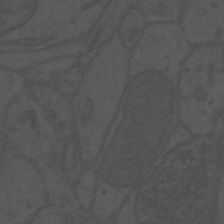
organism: Mouse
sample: Suprachiasmatic nucleus